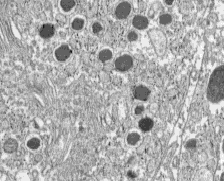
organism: C57BL Mouse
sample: Pancreatic islet